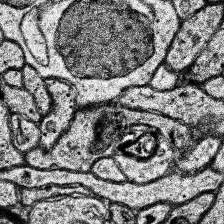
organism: Human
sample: Temporal Lobe